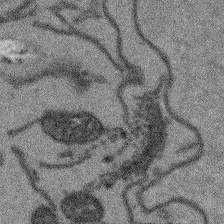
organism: Arabidopsis thaliana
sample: Root tip